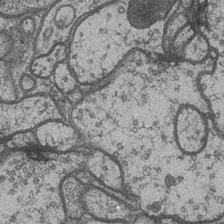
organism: Drosophila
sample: Optic medulla